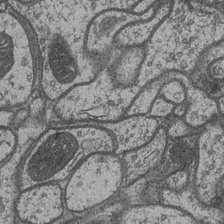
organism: Drosophila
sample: Optic medulla